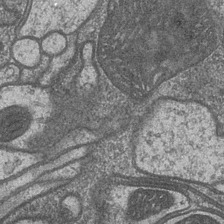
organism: Drosophila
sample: Optic medulla